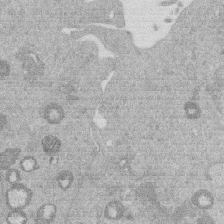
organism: Mouse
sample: Dividing mouse embryo 1 cell stage